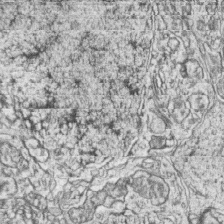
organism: Zebrafish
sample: synaptic ribbons in rod cells and cone cells